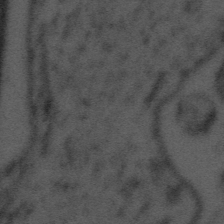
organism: Tuwongella immobilis